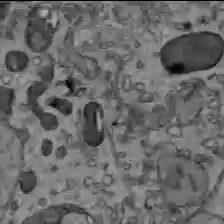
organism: C57BL Mouse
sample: Liver